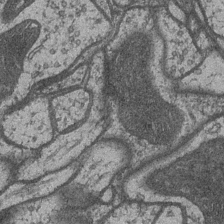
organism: Drosophila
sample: Optic medulla